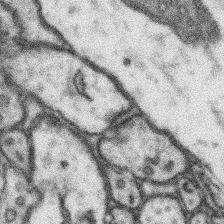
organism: Mouse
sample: Somatosensory cortex neuropil